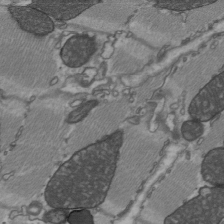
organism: C57BL Mouse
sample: Heart